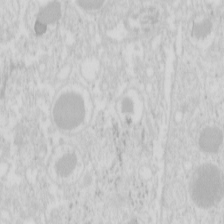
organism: Mouse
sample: Pancreas